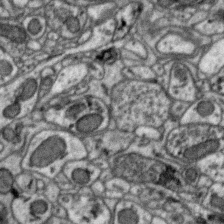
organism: Zebra finch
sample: Brain